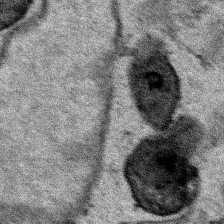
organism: Human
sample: Mitochondria in HCT116 cells